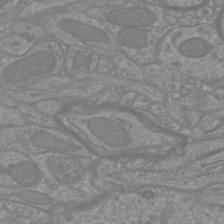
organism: Mouse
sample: Cortical neurons